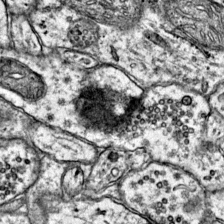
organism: Mouse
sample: Primary visual cortex